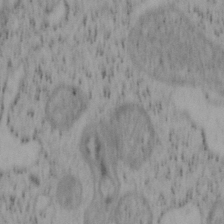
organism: Mouse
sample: OT-I killer T cells with ID8 ovarian cancer cells